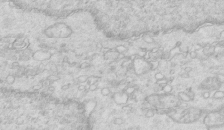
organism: Mouse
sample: Multiciliated cells